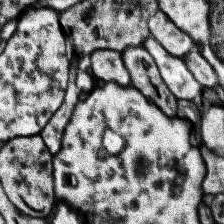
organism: Human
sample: Temporal Lobe